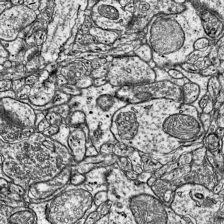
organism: Mouse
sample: Visual Cortex